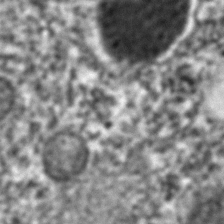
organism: C. elegans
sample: C. elegans embryo